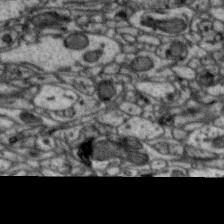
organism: Zebra finch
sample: Brain